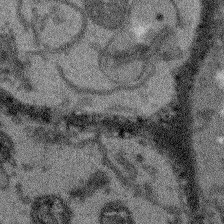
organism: Arabidopsis thaliana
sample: Root tip